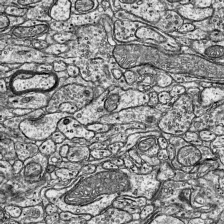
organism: Mouse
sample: Visual Cortex